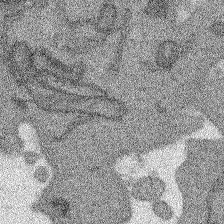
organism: Human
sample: HeLa cells